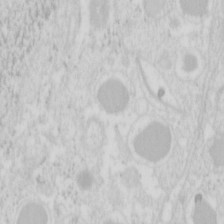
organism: Mouse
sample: Pancreas